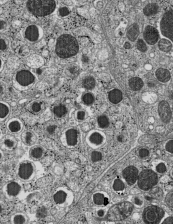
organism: C57BL Mouse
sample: Pancreatic islet